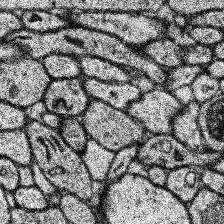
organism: Human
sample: Temporal Lobe